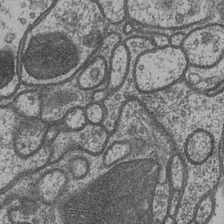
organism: Drosophila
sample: Optic medulla